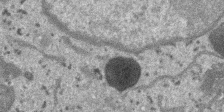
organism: Human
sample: Lung epithelial cells infected with SARS-CoV-2